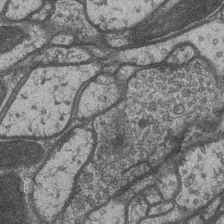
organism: Drosophila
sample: Optic medulla